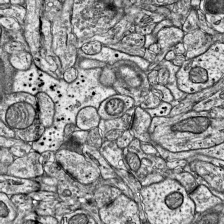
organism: Mouse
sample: Visual Cortex